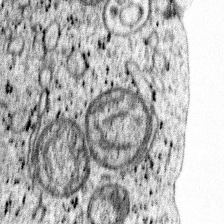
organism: Human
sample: HeLa cells